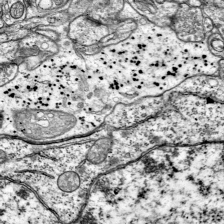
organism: Mouse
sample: Visual Cortex